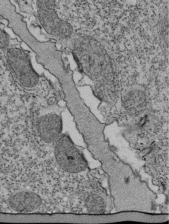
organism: Tetrahymena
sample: Cilia in tetrahymena